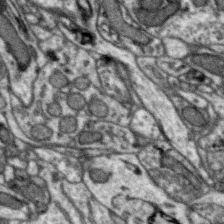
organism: Zebra finch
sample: Brain